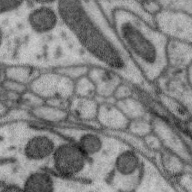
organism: Zebra finch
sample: Brain